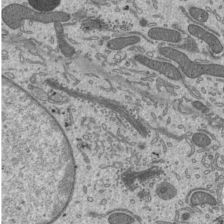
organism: Mouse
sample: Mouse epididymis efferent ductule cilia